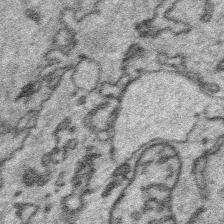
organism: Platynereis dumerilii